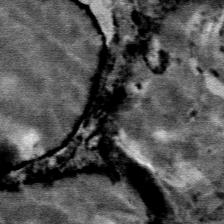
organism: Mouse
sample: Mouse Salivary gland